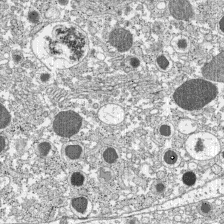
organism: C57BL Mouse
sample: Pancreatic islet